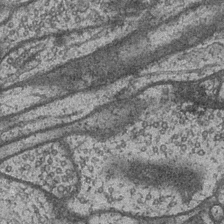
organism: Drosophila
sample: Optic medulla